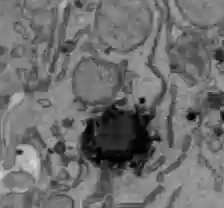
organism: C57BL Mouse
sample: Liver